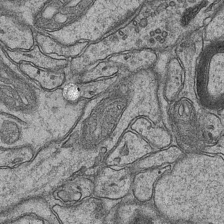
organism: Mouse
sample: CA1 Hippocampus